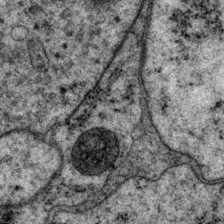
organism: P. pacificus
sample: Pharynx